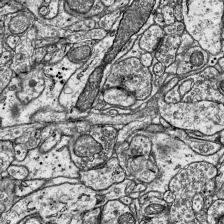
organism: Mouse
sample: Visual Cortex